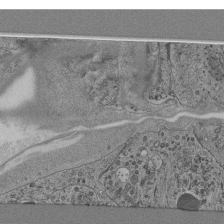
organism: C. elegans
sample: C. elegans pharynx